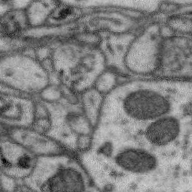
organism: Zebra finch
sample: Brain